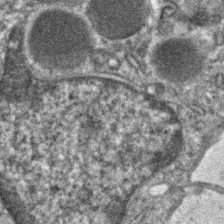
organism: Human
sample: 1205lu cells